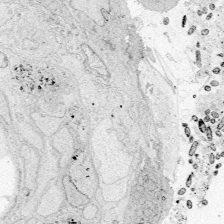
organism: Zebrafish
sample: Whole-Brain